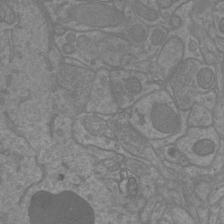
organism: Mouse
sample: Cortical neurons